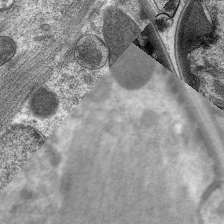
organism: C. elegans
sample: Pharynx